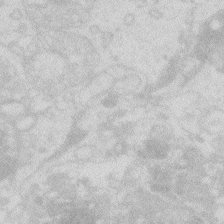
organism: Zebrafish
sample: Macrophage